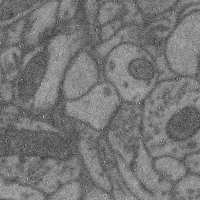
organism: Mouse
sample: Cerebral cortex